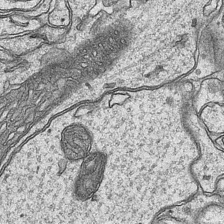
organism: Mouse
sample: CA1 Hippocampus